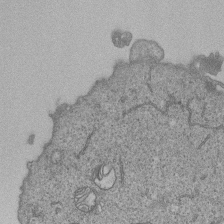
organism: Human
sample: MDA-MB-231 cells